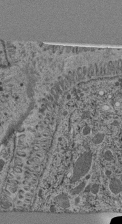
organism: C. elegans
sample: C. elegans pharynx